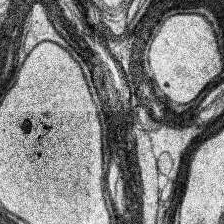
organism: Human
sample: Temporal Lobe